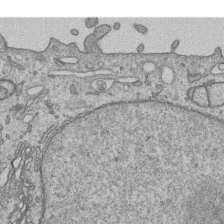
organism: Human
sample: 1205lu cells